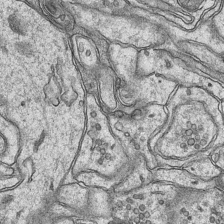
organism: Mouse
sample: CA1 Hippocampus